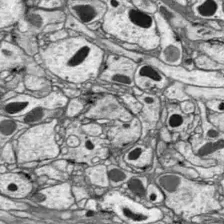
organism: Drosophila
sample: Optic lobe